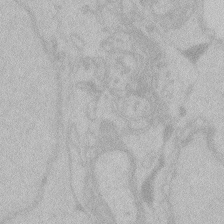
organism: Zebrafish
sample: Macrophage infected with Toxoplasma gondii